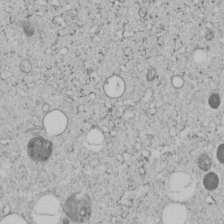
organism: C. elegans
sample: C. elegans embryo early stage